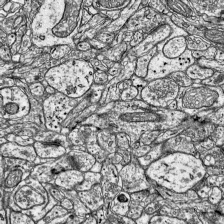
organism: Mouse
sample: Visual Cortex